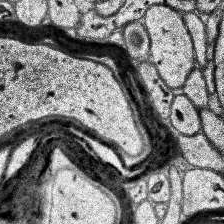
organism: Human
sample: Temporal Lobe